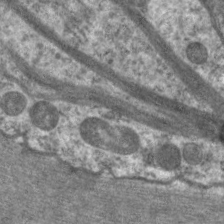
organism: C. elegans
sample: Pharynx